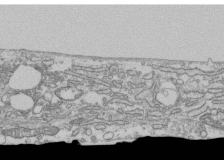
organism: Human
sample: Fibroblast cells